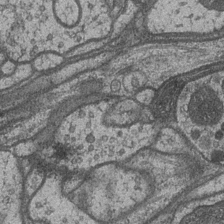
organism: Drosophila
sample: Optic medulla